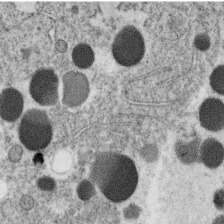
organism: C. elegans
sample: C. elegans oocyte; sperm cells